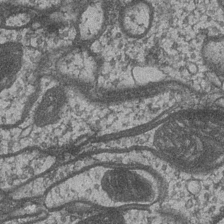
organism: Drosophila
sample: Optic medulla